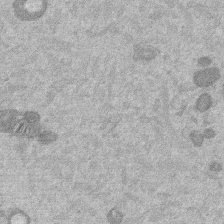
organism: Mouse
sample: Dividing mouse embryo 1 cell stage